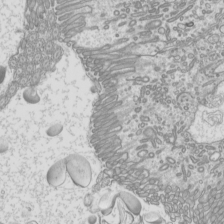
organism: Mouse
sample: Cilia; mouse epididymis